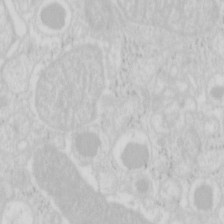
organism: Mouse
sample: Pancreas